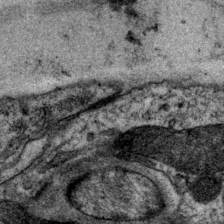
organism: P. pacificus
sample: Pharynx